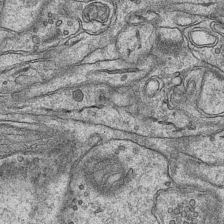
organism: Mouse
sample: CA1 Hippocampus